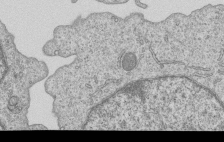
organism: Human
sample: MDA-MB-231 cells